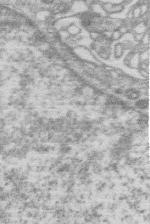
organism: Human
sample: Macrophage cells